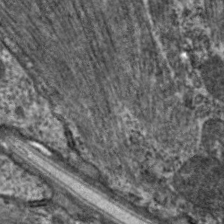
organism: C. elegans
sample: Pharynx